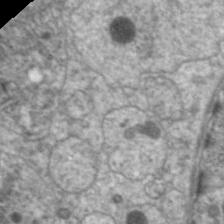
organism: C. elegans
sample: Pharynx